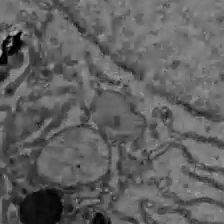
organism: C57BL Mouse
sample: Liver